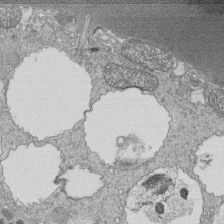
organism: Tetrahymena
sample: Cilia in tetrahymena